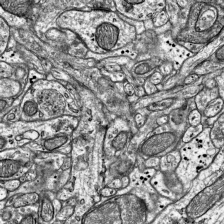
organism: Mouse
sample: Visual Cortex